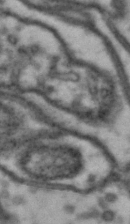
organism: Drosophila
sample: Brain